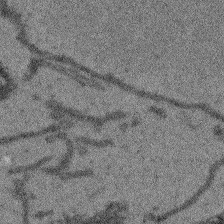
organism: Arabidopsis thaliana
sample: Root tip